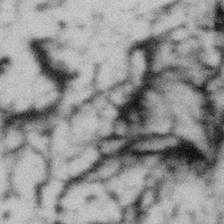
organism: Gemmata obscuriglobus